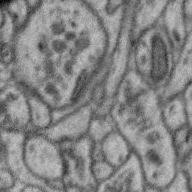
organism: Zebra finch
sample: Brain